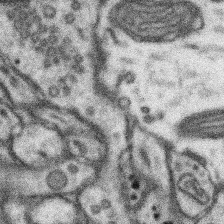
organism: Mouse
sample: Somatosensory cortex neuropil